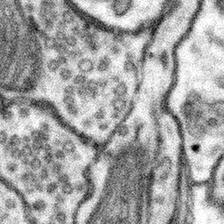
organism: Mouse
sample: Somatosensory cortex neuropil